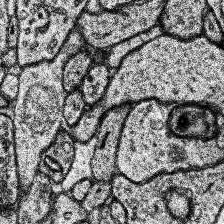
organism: Human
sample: Temporal Lobe